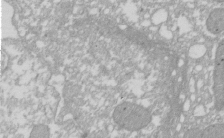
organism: Xenopus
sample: Cilia; centrioles in frog embryo cells